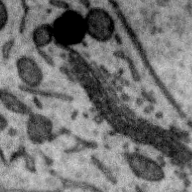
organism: Zebra finch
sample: Brain